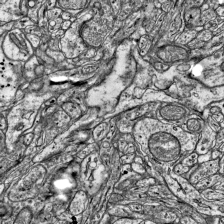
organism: Mouse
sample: Visual Cortex